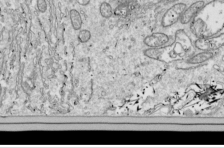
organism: Drosophila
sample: Cell division; meiosis; drosophila spermatocytes